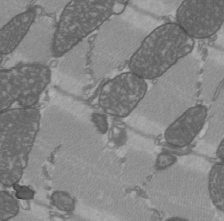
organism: C57BL Mouse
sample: Heart